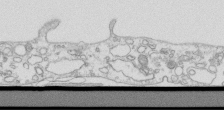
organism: Mouse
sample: Macrophages